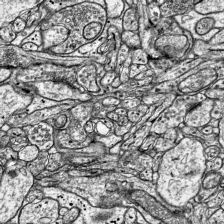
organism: Mouse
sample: Visual Cortex